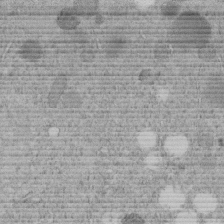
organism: C. elegans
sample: C. elegans embryo early stage